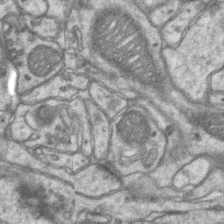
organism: Mouse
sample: CA1 Hippocampus